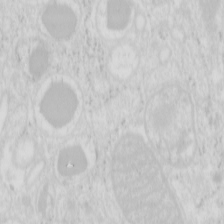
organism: Mouse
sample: Pancreas